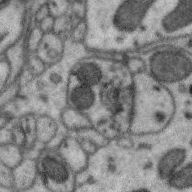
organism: Zebra finch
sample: Brain